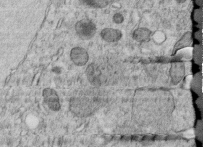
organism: C. elegans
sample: C. elegans embryo early stage